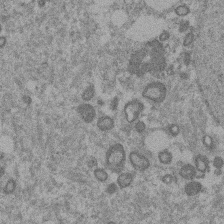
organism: Mouse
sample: Dividing mouse embryo 1 cell stage